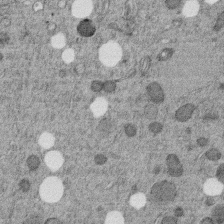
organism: C. elegans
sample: C. elegans embryo early stage